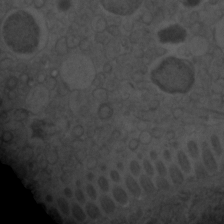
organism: C. elegans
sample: C. elegans embryo